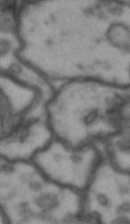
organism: Drosophila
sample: Brain